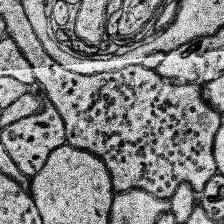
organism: Human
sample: Temporal Lobe